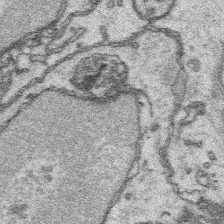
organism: Platynereis dumerilii